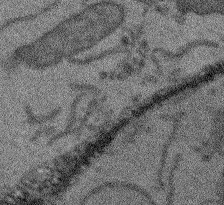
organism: Arabidopsis thaliana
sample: Root tip